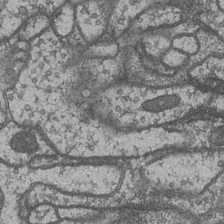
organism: Drosophila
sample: Optic medulla